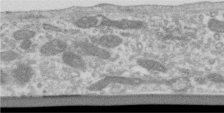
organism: Human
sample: Centriole in RPE cells